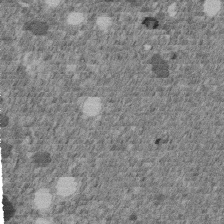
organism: C. elegans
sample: C. elegans embryo early stage